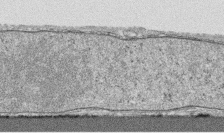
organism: Human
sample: CRL-1474